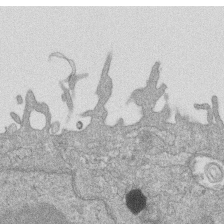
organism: Human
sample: HeLa cell HIV synapse